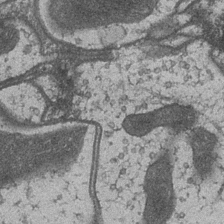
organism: Drosophila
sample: Optic medulla